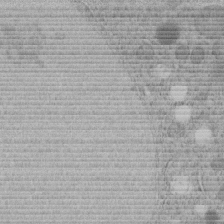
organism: C. elegans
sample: C. elegans embryo early stage